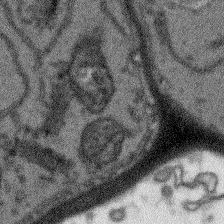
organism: Arabidopsis thaliana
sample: Root tip